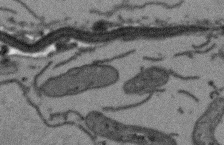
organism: Arabidopsis thaliana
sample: Root tip